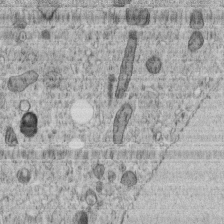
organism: C. elegans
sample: C. elegans embryo early stage